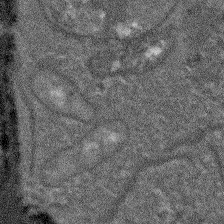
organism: Arabidopsis thaliana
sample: Root tip